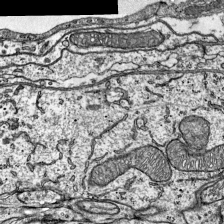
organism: Mouse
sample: Visual Cortex